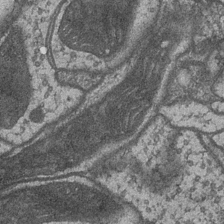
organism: Drosophila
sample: Optic medulla